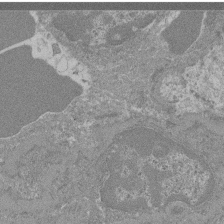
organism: Mouse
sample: Glomerulus